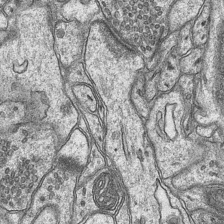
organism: Mouse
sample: CA1 Hippocampus